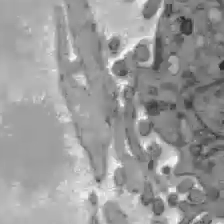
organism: C57BL Mouse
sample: Liver